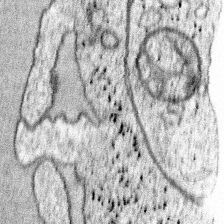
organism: Human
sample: HeLa cells